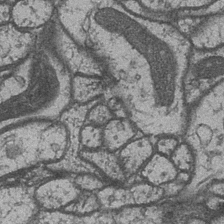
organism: Drosophila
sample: Optic medulla